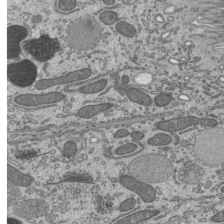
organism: Mouse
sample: Mouse epididymis efferent ductule cilia